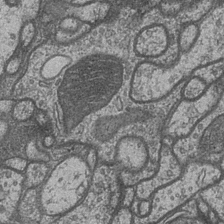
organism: Drosophila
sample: Optic medulla